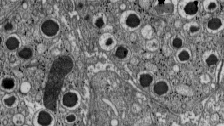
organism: C57BL Mouse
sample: Pancreatic islet